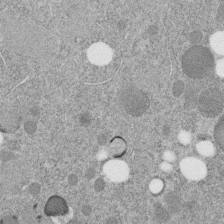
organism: C. elegans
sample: C. elegans embryo early stage